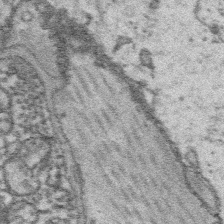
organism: Platynereis dumerilii